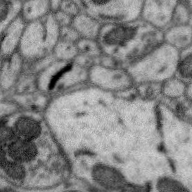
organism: Zebra finch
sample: Brain